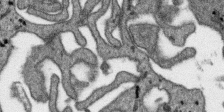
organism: Human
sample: Lung epithelial cells, uninfected (mock) control